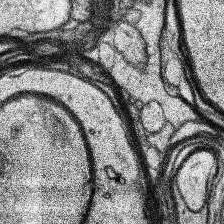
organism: Human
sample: Temporal Lobe